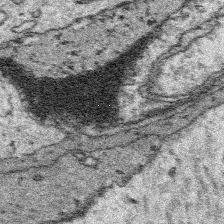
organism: Platynereis dumerilii